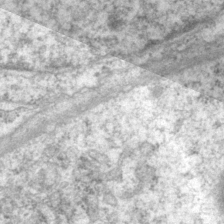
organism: P. pacificus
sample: Pharynx